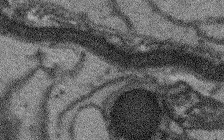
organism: Arabidopsis thaliana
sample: Root tip